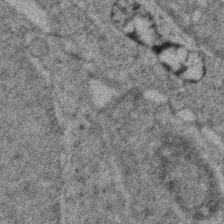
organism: Zebrafish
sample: Zebrafish embryo